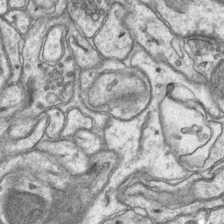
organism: Mouse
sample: CA1 Hippocampus